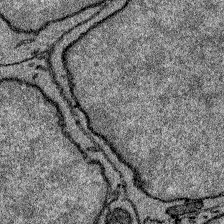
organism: Zebrafish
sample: Larval olfactory bulb